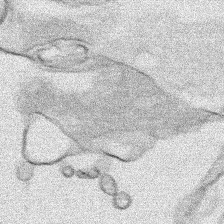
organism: Human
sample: Mitochondria in HCT116 cells